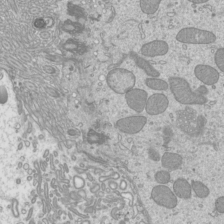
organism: Mouse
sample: Cilia; mouse epididymis